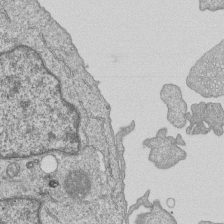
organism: Human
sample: MDA-MB-231 cells